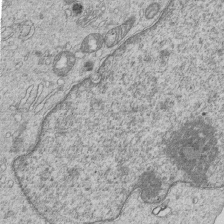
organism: Human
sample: MDA-MB-231 cells